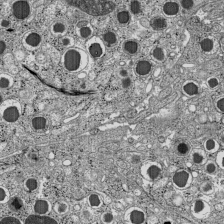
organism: C57BL Mouse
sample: Pancreatic islet